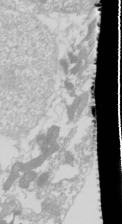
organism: Drosophila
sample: Cell division; meiosis; drosophila spermatocytes